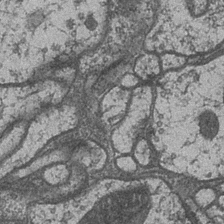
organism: Drosophila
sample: Optic medulla